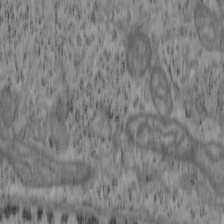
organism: Human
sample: HeLa cells